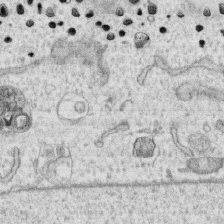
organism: Human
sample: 1205lu cells